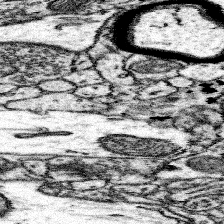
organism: Mouse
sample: Somatosensory cortex neuropil